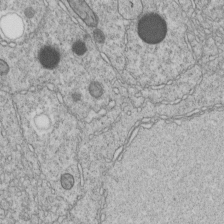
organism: C. elegans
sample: C. elegans embryo early stage